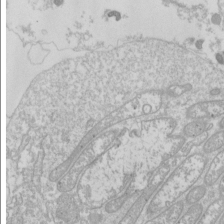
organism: Drosophila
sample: Cell division; meiosis; drosophila spermatocytes